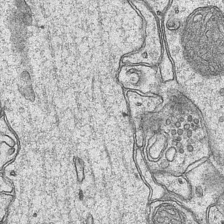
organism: Mouse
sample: CA1 Hippocampus